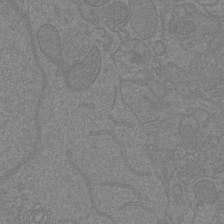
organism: Mouse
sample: Cortical neurons